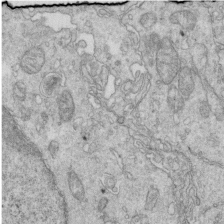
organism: Mouse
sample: Multiciliated cells